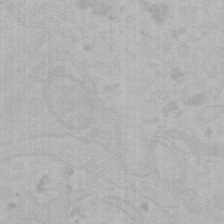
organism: Mouse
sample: Choroid plexus